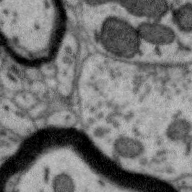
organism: Zebra finch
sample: Brain